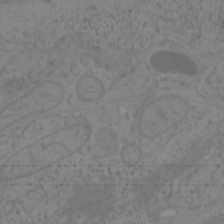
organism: Human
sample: HeLa cells